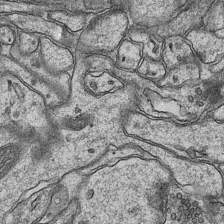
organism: Mouse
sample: CA1 Hippocampus